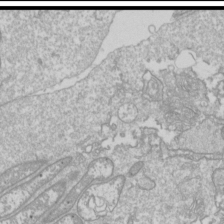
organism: Drosophila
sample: Cell division; meiosis; drosophila spermatocytes